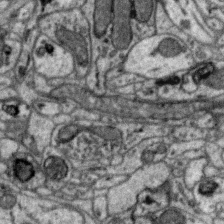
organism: Zebra finch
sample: Brain